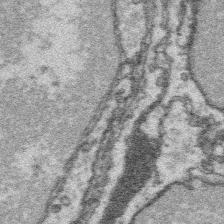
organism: Platynereis dumerilii